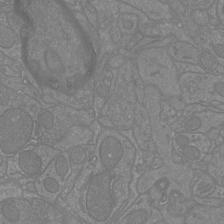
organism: Mouse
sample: Cortical neurons